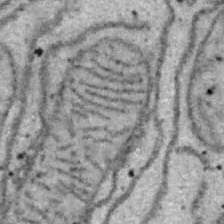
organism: Mouse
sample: Liver from an obese (ob/ob) mouse